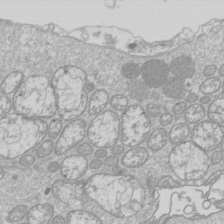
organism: Drosophila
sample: Cell division; meiosis; drosophila spermatocytes